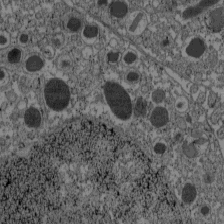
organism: C57BL Mouse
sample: Pancreatic islet